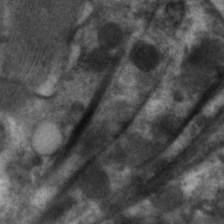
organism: C. elegans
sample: Pharynx